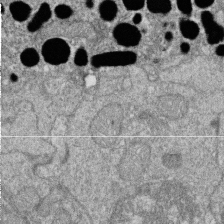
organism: Zebrafish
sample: Cilia; retinal pigment epithelium